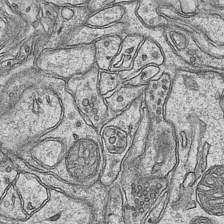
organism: Mouse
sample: CA1 Hippocampus